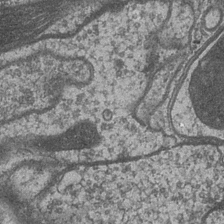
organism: Drosophila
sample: Optic medulla